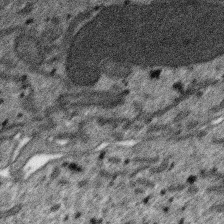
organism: Human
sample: Lung epithelial cells infected with SARS-CoV-2